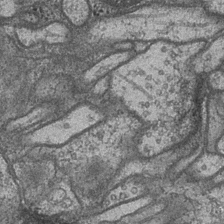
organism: Drosophila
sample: Optic medulla